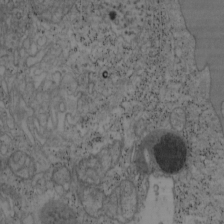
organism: Mouse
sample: OT-I killer T cells with ID8 ovarian cancer cells